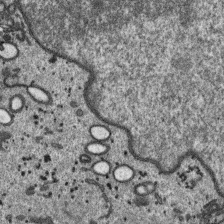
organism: Human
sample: Lung epithelial cells infected with SARS-CoV-2